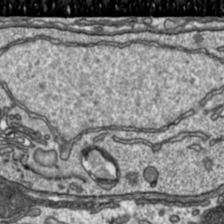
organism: Toxoplasma gondii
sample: Parasites in a vacuole inside a host cell